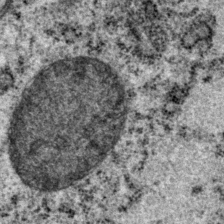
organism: P. pacificus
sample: Pharynx